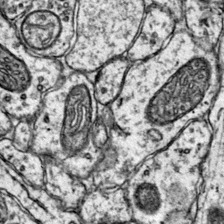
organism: Mouse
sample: Primary visual cortex